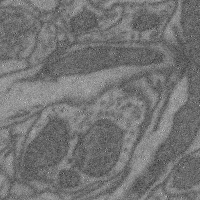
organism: Mouse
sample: Cerebral cortex